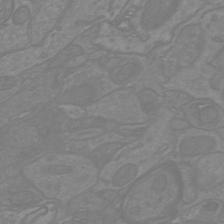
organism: Mouse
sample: Cortical neurons